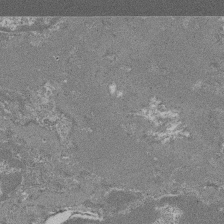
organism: Mouse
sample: Glomerulus